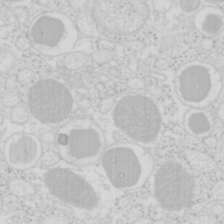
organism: Mouse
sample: Pancreas